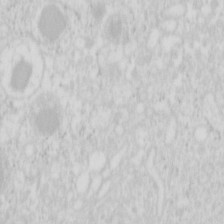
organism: Mouse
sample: Pancreas